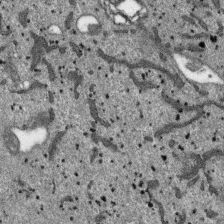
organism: Human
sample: Lung epithelial cells, uninfected (mock) control